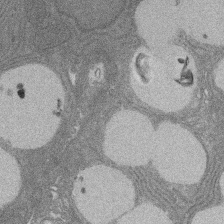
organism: Rat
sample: Salivary granule